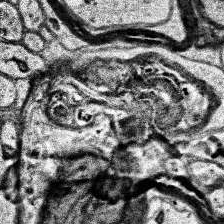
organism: Human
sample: Temporal Lobe